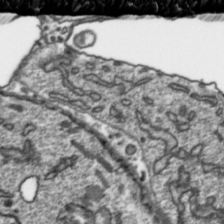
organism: Toxoplasma gondii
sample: Parasites in a vacuole inside a host cell